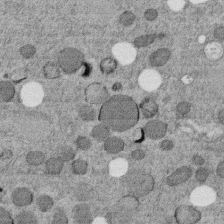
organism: C. elegans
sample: C. elegans embryo early stage